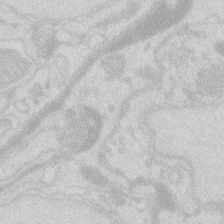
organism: Zebrafish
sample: Macrophage